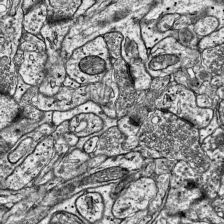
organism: Mouse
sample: Visual Cortex